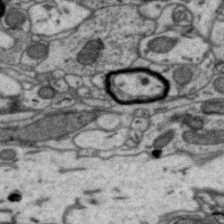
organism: Zebra finch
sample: Brain